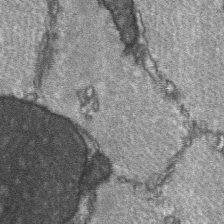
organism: C57BL Mouse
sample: Soleus